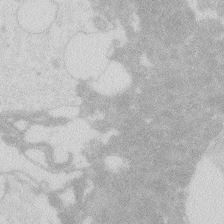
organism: Zebrafish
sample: Macrophage